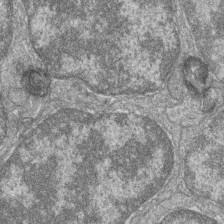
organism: Zebrafish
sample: Cilia; retinal pigment epithelium